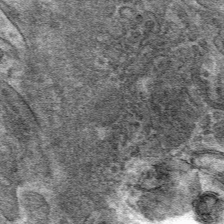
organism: Mouse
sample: Mouse hepatocytes